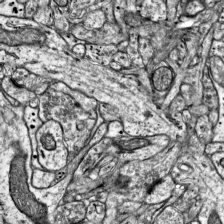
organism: Mouse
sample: Visual Cortex